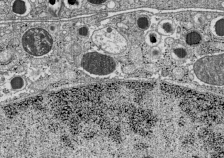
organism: C57BL Mouse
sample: Pancreatic islet